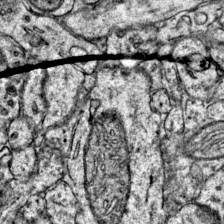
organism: Mouse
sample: Primary visual cortex